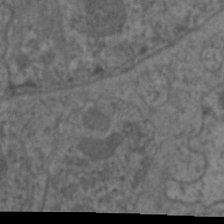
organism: C. elegans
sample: Pharynx